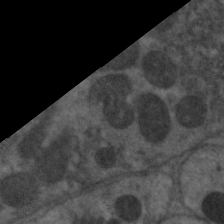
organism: C. elegans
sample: Pharynx